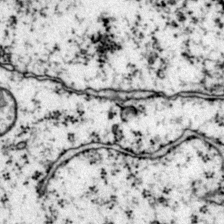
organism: Mouse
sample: Primary visual cortex